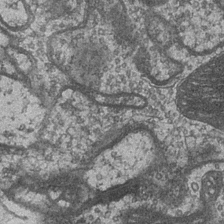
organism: Drosophila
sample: Optic medulla